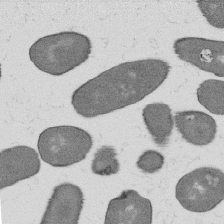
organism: B. subtilis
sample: Bacterial spore